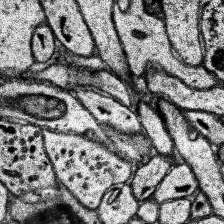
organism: Human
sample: Temporal Lobe